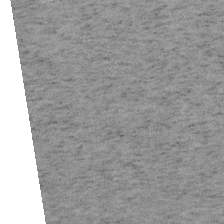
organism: Mouse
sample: OT-I killer T cells with ID8 ovarian cancer cells